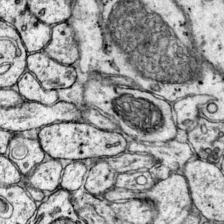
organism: Mouse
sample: Primary visual cortex